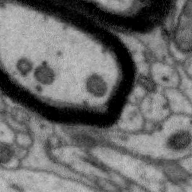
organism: Zebra finch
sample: Brain